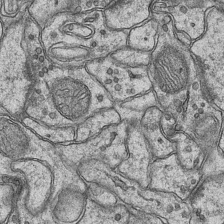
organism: Mouse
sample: CA1 Hippocampus